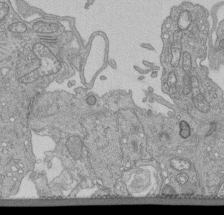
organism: Human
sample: Retinal organoid Rod and Cone cells